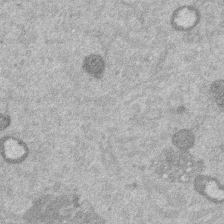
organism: Mouse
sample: Dividing mouse embryo 1 cell stage